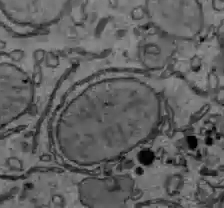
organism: C57BL Mouse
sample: Liver